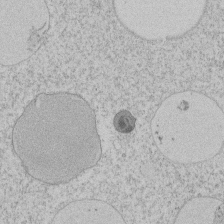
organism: Tetrahymena